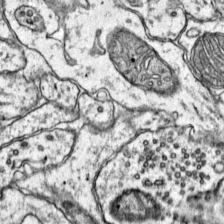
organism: Mouse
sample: Primary visual cortex